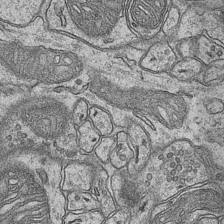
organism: Mouse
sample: CA1 Hippocampus